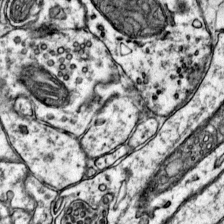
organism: Mouse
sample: Primary visual cortex